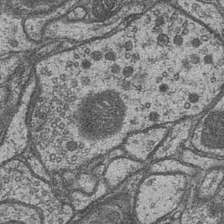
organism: Drosophila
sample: Optic medulla